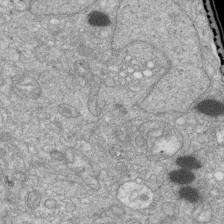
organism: Human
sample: HeLa cell HIV synapse